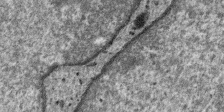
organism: Human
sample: Lung epithelial cells, uninfected (mock) control